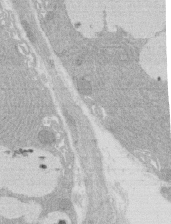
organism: Rat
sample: Salivary granule